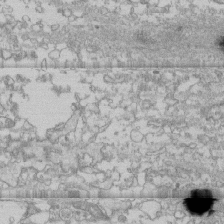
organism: Human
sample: CRL-1474